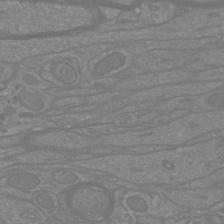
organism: Mouse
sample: Cortical neurons